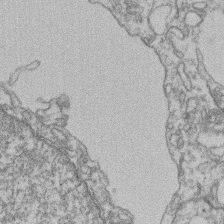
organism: Mouse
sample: T cell stromal cell synapse